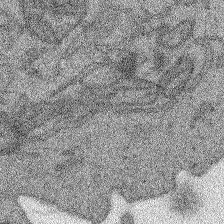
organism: Human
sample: HeLa cells